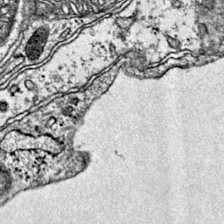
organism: Mouse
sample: Primary visual cortex